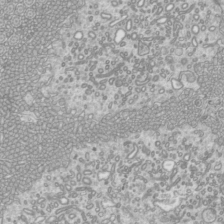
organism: Mouse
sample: Cilia; mouse epididymis